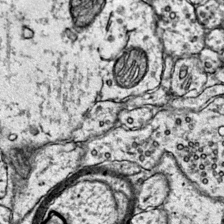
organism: Mouse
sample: Primary visual cortex